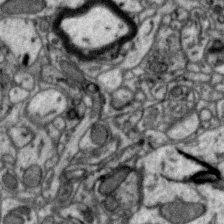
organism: Zebra finch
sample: Brain